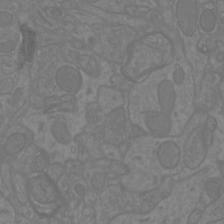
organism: Mouse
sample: Cortical neurons